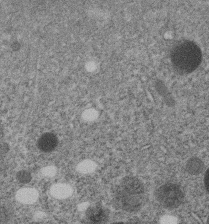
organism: C. elegans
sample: C. elegans embryo early stage